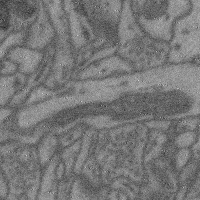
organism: Mouse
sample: Cerebral cortex